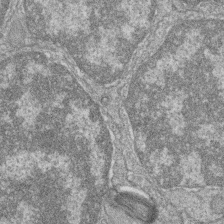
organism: Zebrafish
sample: Cilia; retinal pigment epithelium